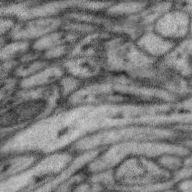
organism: Zebra finch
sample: Brain